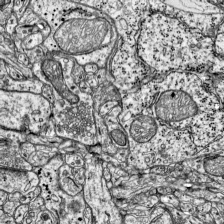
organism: Mouse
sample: Visual Cortex